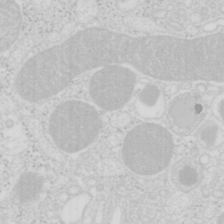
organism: Mouse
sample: Pancreas